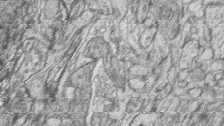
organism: Zebrafish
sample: synaptic ribbons in rod cells and cone cells